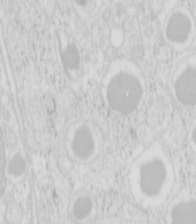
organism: Mouse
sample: Pancreas